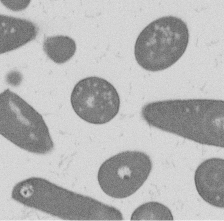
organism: B. subtilis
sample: Bacterial spore